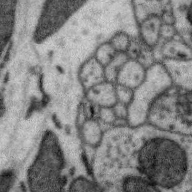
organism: Zebra finch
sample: Brain